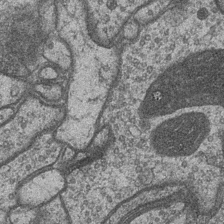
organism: Drosophila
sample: Optic medulla